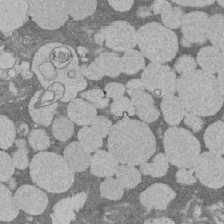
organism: Rat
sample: Salivary granule